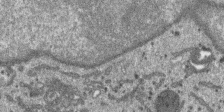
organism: Human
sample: Lung epithelial cells infected with SARS-CoV-2